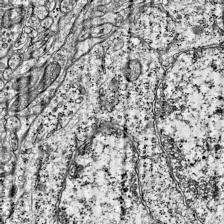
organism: Mouse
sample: Visual Cortex